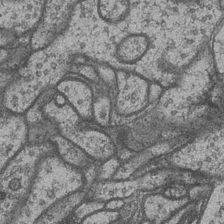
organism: Drosophila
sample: Optic medulla